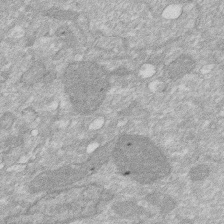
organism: Human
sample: HIV infected U937 cells